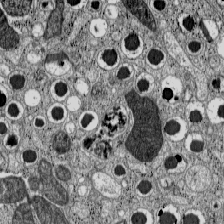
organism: C57BL Mouse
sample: Pancreatic islet